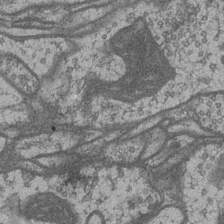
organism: Drosophila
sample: Optic medulla